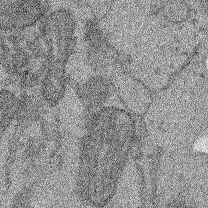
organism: Human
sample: HeLa cells